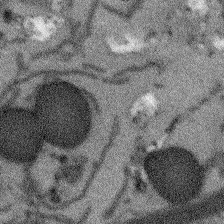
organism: Arabidopsis thaliana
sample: Root tip